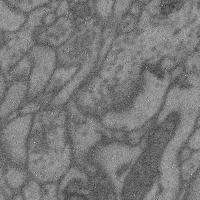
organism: Mouse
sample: Cerebral cortex